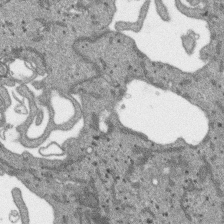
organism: Human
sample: Lung epithelial cells infected with SARS-CoV-2